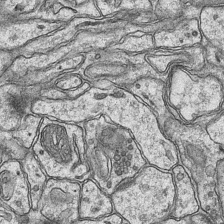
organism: Mouse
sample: CA1 Hippocampus